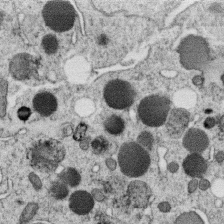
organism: C. elegans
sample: C. elegans oocyte; sperm cells